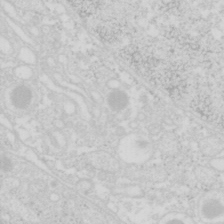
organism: Mouse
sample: Pancreas